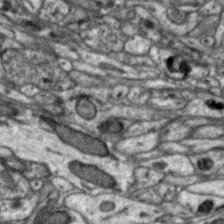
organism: Zebra finch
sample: Brain